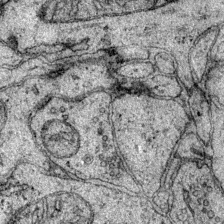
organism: Mouse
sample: Primary visual cortex